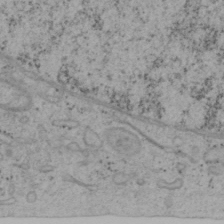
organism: Human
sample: HeLa cells